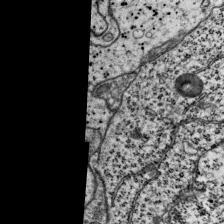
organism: Mouse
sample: Visual Cortex